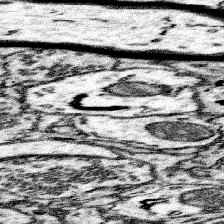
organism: Mouse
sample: Somatosensory cortex neuropil